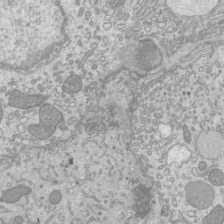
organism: Mouse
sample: Cilia; mouse epididymis